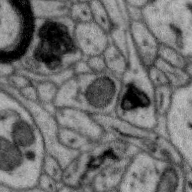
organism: Zebra finch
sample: Brain